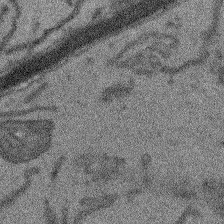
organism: Arabidopsis thaliana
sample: Root tip